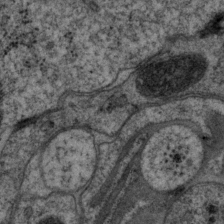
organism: P. pacificus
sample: Pharynx